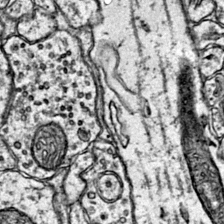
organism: Mouse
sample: Primary visual cortex